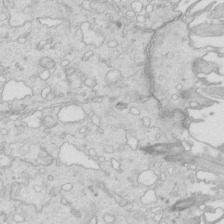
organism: Mouse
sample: Multiciliated cells